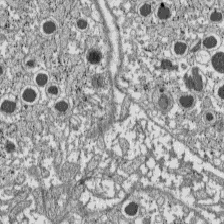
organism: C57BL Mouse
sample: Pancreatic islet